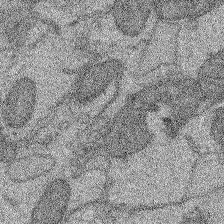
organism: Human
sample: HeLa cells